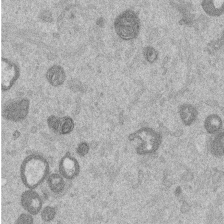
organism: Mouse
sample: Dividing mouse embryo 1 cell stage